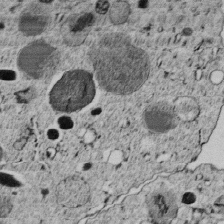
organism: C. elegans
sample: C. elegans embryo early stage